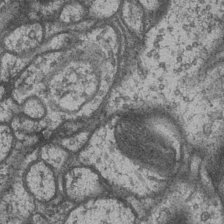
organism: Drosophila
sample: Optic medulla